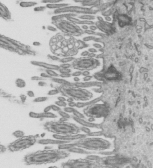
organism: Mouse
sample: Mouse epididymis efferent ductule cilia